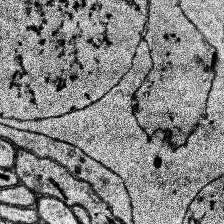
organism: Human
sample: Temporal Lobe